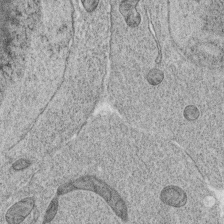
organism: C. elegans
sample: C. elegans oocyte; sperm cells